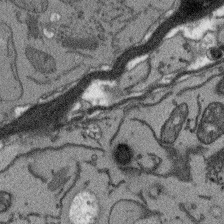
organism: Arabidopsis thaliana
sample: Root tip